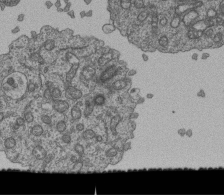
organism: Human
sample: Retinal organoid Rod and Cone cells